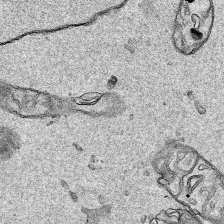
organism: Human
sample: Mitochondria in HCT116 cells